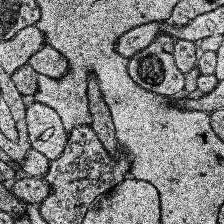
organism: Human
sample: Temporal Lobe